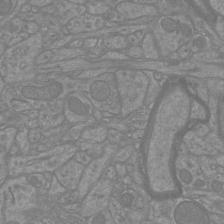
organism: Mouse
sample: Cortical neurons